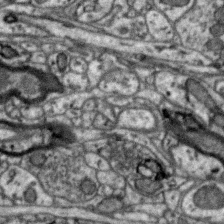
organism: Zebra finch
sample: Brain